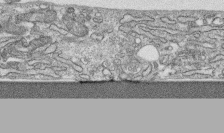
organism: Human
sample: CRL-1474